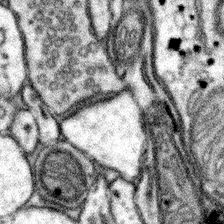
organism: Mouse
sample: Somatosensory cortex neuropil